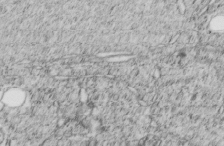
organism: C. elegans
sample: C. elegans embryo early stage